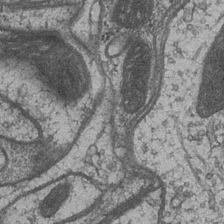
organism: Drosophila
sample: Optic medulla